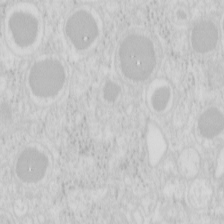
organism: Mouse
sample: Pancreas